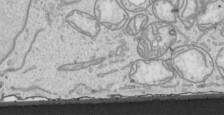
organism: Human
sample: Mitochondria in HCT116 cells